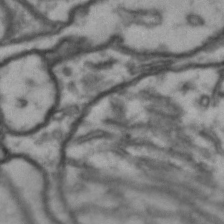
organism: Drosophila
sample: Brain